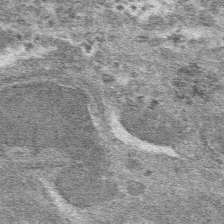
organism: Mouse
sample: Mouse hepatocytes